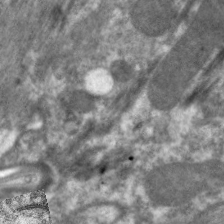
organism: C. elegans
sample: Pharynx